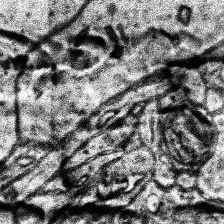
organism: Human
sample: Temporal Lobe